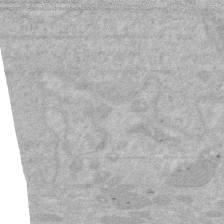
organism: Human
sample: HIV infected U937 cells